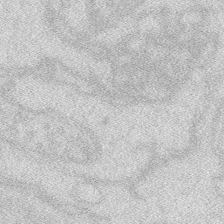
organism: Zebrafish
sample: Macrophage